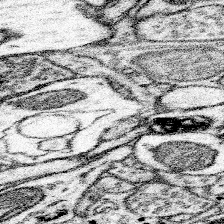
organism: Mouse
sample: Somatosensory cortex neuropil